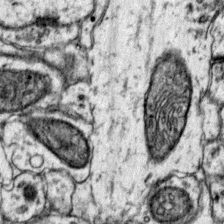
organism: Mouse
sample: Primary visual cortex